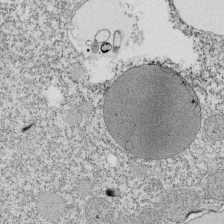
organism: Tetrahymena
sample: Cilia in tetrahymena